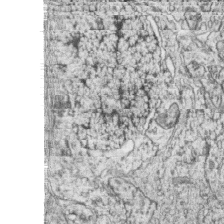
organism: Zebrafish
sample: synaptic ribbons in rod cells and cone cells